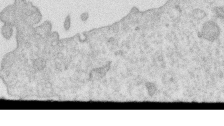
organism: Human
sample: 1205lu cells